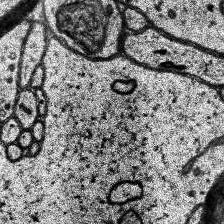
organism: Human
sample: Temporal Lobe